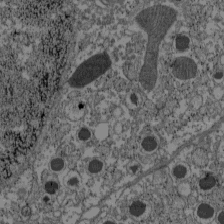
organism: C57BL Mouse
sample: Pancreatic islet